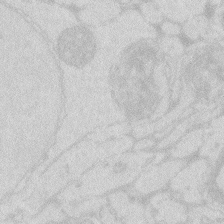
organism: Zebrafish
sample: Macrophage